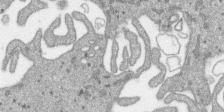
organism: Human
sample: Lung epithelial cells infected with SARS-CoV-2